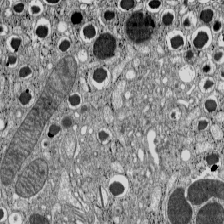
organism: C57BL Mouse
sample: Pancreatic islet